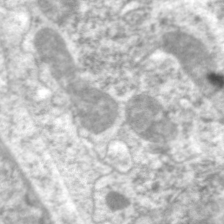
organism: C. elegans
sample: Pharynx